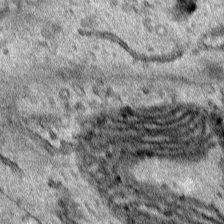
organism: Human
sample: Mitochondria in HCT116 cells